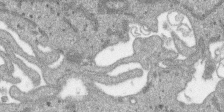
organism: Human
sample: Lung epithelial cells infected with SARS-CoV-2